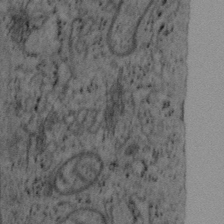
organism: Human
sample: HeLa cells